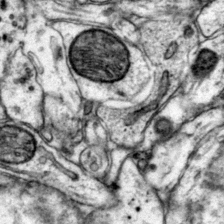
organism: Mouse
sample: Primary visual cortex